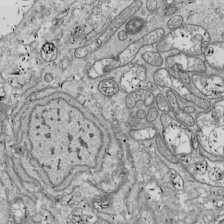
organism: Drosophila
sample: Cell division; meiosis; drosophila spermatocytes